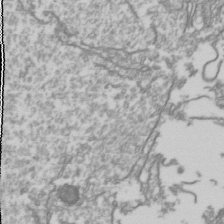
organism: Drosophila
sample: Cell division; meiosis; drosophila spermatocytes